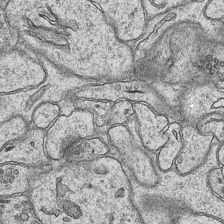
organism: Mouse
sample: CA1 Hippocampus